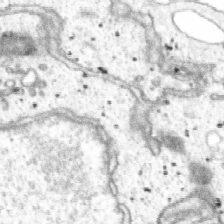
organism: Human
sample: HeLa cells